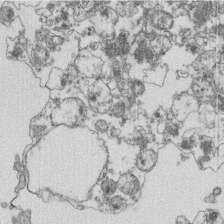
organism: Human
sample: HeLa cell HIV synapse